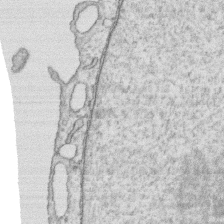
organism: Human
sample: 1205lu cells